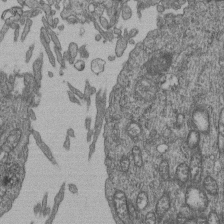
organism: Human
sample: Retinal organoid Rod and Cone cells